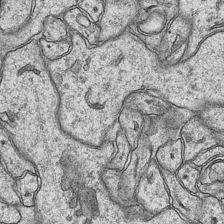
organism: Mouse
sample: CA1 Hippocampus